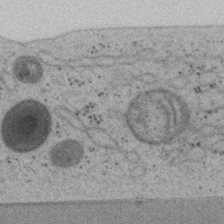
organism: Human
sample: HeLa cells